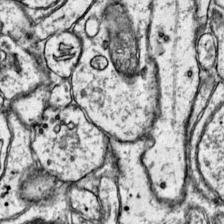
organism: Mouse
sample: Primary visual cortex